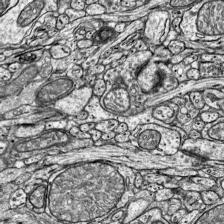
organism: Mouse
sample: Visual Cortex